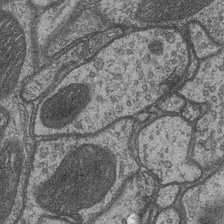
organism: Drosophila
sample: Optic medulla